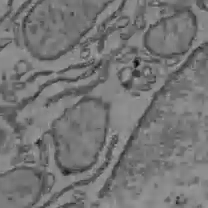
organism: C57BL Mouse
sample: Liver